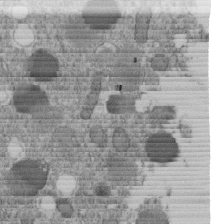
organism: C. elegans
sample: C. elegans embryo early stage